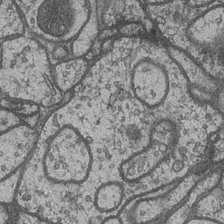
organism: Drosophila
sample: Optic medulla